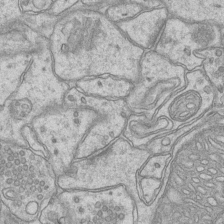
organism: Mouse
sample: CA1 Hippocampus